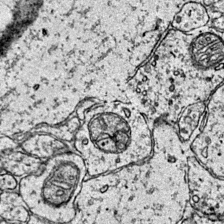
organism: Mouse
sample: Primary visual cortex